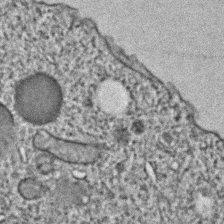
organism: C. elegans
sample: C. elegans embryo